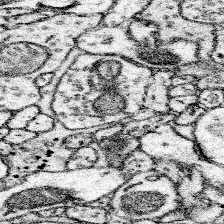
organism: Mouse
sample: Somatosensory cortex neuropil